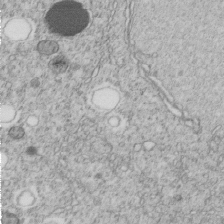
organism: C. elegans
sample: C. elegans embryo early stage